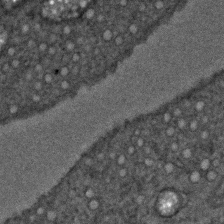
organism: C. elegans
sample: C. elegans embryo